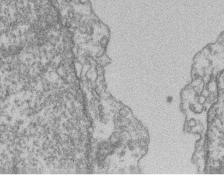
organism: Mouse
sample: T cell stromal cell synapse